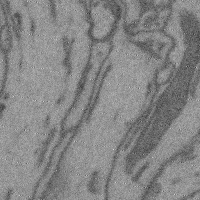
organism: Mouse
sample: Cerebral cortex